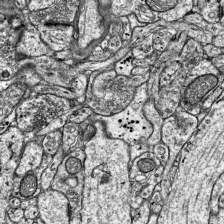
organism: Mouse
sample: Visual Cortex